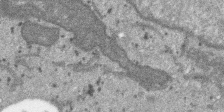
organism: Human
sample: Lung epithelial cells infected with SARS-CoV-2